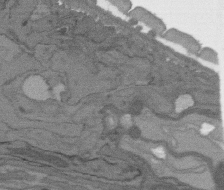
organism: C. elegans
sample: AFD neurons C. elegans